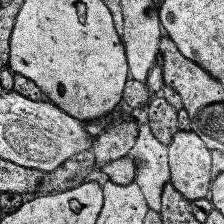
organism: Human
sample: Temporal Lobe